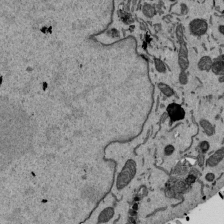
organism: Mouse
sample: ED-1 cell nuclei; centrioles